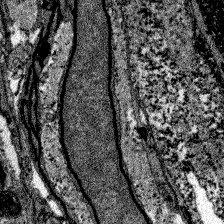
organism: Zebrafish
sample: Larval olfactory bulb